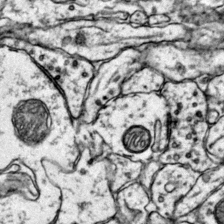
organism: Mouse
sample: Primary visual cortex